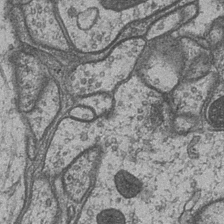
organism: Drosophila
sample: Optic medulla